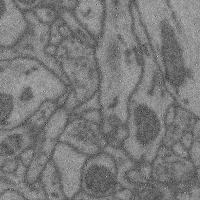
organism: Mouse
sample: Cerebral cortex